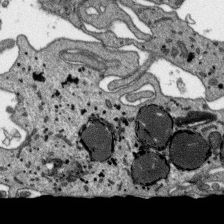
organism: Human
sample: Lung epithelial cells, uninfected (mock) control